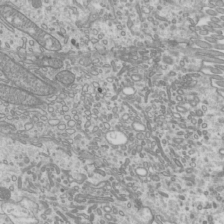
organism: Mouse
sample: Cilia; mouse epididymis